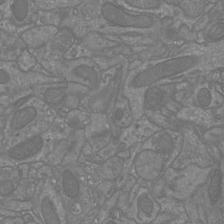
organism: Mouse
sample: Cortical neurons